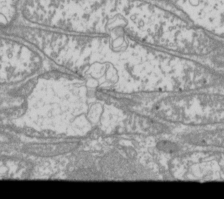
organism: Drosophila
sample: Cell division; meiosis; drosophila spermatocytes